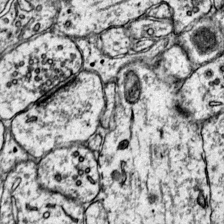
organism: Mouse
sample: Primary visual cortex